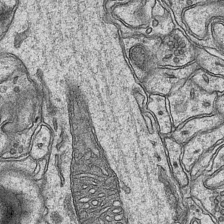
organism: Mouse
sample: CA1 Hippocampus